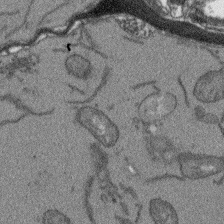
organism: Arabidopsis thaliana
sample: Root tip